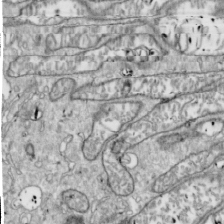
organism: Drosophila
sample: Cell division; meiosis; drosophila spermatocytes